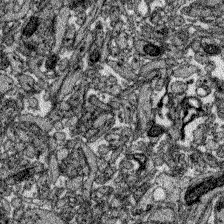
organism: Zebrafish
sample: Larval olfactory bulb